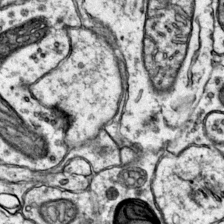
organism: Mouse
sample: Primary visual cortex